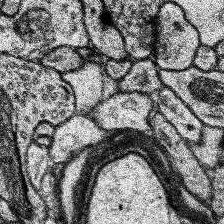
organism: Human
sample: Temporal Lobe